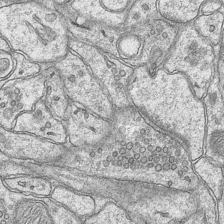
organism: Mouse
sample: CA1 Hippocampus